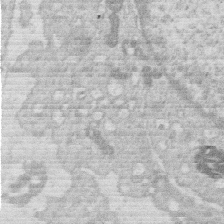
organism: Human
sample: Macrophage cells